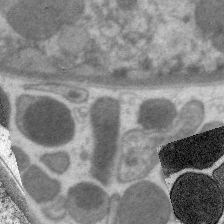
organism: C. elegans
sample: Pharynx